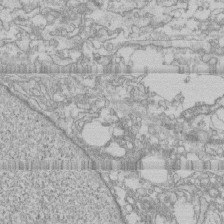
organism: Human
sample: CRL-1474